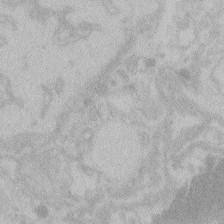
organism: Zebrafish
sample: Macrophage infected with Toxoplasma gondii